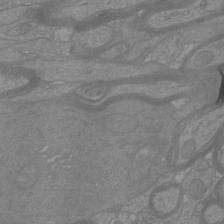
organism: Mouse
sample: Cortical neurons